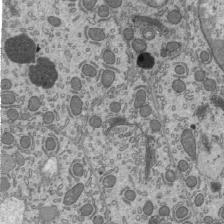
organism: Mouse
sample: Mouse epididymis efferent ductule cilia